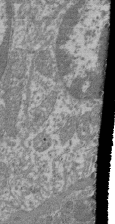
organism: Mouse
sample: Glomerulus